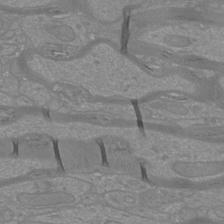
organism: Mouse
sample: Cortical neurons